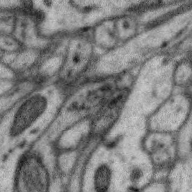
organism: Zebra finch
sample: Brain